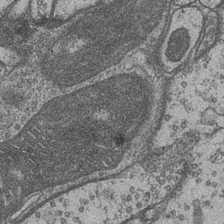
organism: Drosophila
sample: Optic medulla